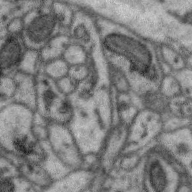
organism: Zebra finch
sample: Brain